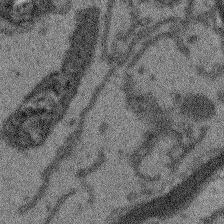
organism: Arabidopsis thaliana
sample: Root tip